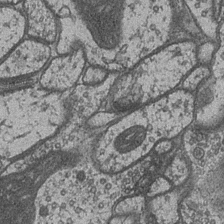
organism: Drosophila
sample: Optic medulla